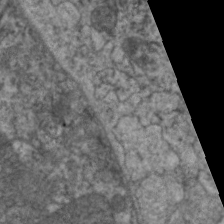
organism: C. elegans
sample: Pharynx